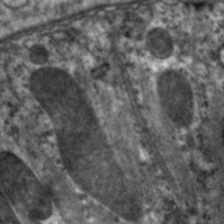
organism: C. elegans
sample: Pharynx